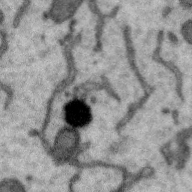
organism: Zebra finch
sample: Brain